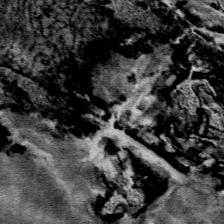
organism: Mouse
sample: Mouse Salivary gland